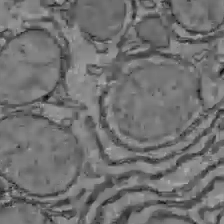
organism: C57BL Mouse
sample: Liver